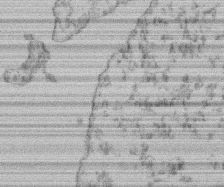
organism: Mouse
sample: T cell stromal cell synapse